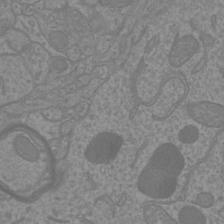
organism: Mouse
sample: Cortical neurons